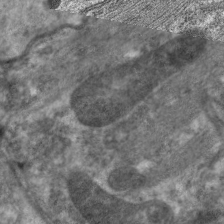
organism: C. elegans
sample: Pharynx